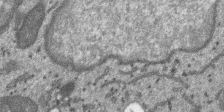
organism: Human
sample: Lung epithelial cells infected with SARS-CoV-2